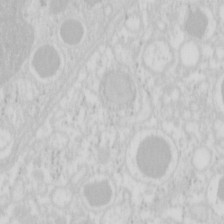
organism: Mouse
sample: Pancreas